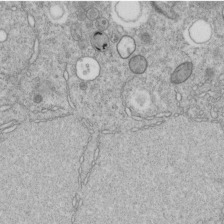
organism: C. elegans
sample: C. elegans embryo early stage